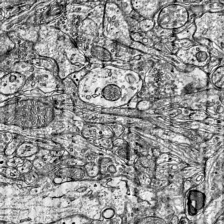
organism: Mouse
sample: Visual Cortex